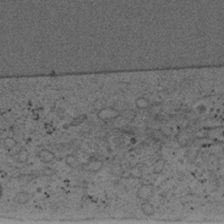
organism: Human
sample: HeLa cells